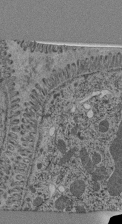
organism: C. elegans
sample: C. elegans pharynx